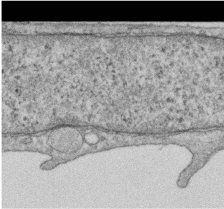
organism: Human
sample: Centriole in RPE cells